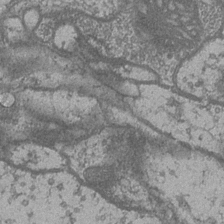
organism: Drosophila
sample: Optic medulla